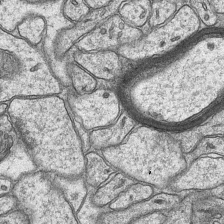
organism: Mouse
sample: CA1 Hippocampus